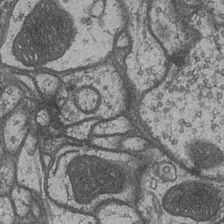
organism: Drosophila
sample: Optic medulla